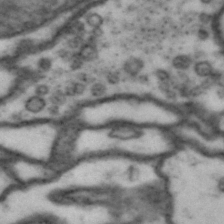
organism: Drosophila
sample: Brain